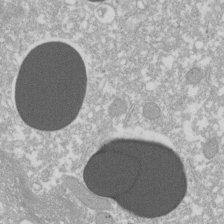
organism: Xenopus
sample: Cilia; centrioles in frog embryo cells